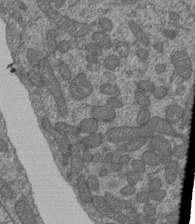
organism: Human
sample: Retinal organoid Rod and Cone cells